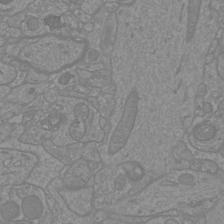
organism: Mouse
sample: Cortical neurons